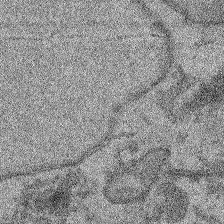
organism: Human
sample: HeLa cells